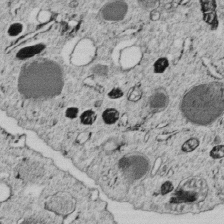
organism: C. elegans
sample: C. elegans embryo early stage